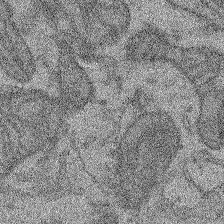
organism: Human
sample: HeLa cells